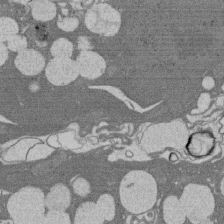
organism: Rat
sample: Salivary granule